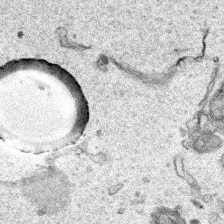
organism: Human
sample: Mitochondria in HCT116 cells